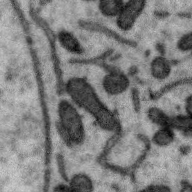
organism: Zebra finch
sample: Brain